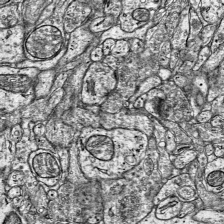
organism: Mouse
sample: Visual Cortex